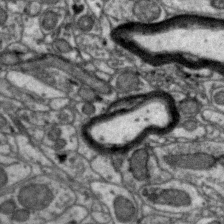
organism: Zebra finch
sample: Brain